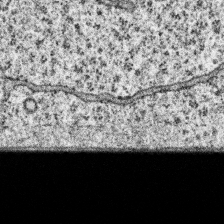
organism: Human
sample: HeLa cells